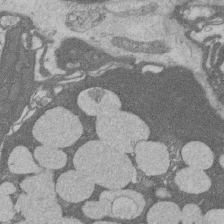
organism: Rat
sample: Salivary granule